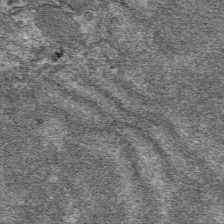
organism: Mouse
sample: Mouse hepatocytes